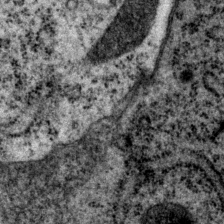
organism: P. pacificus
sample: Pharynx